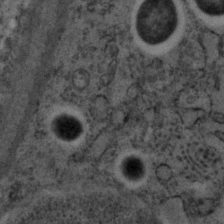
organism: C. elegans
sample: C. elegans embryo